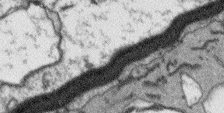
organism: Arabidopsis thaliana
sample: Root tip